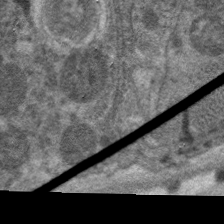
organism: C. elegans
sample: Pharynx